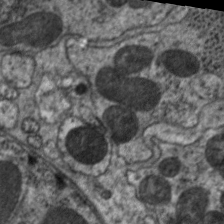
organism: C. elegans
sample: Pharynx